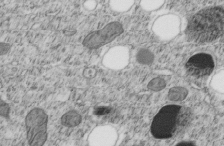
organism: C. elegans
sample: C. elegans embryo early stage